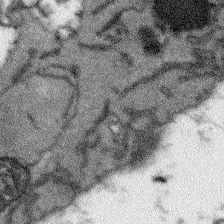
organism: Arabidopsis thaliana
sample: Root tip